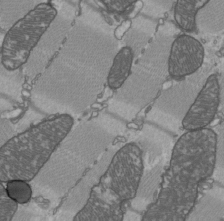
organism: C57BL Mouse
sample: Heart